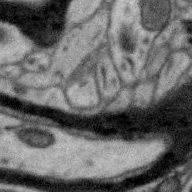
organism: Zebra finch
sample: Brain